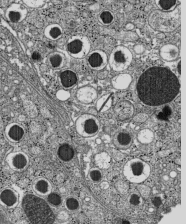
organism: C57BL Mouse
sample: Pancreatic islet